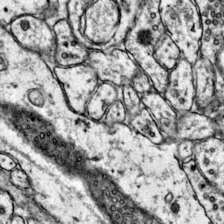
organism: Mouse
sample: Primary visual cortex